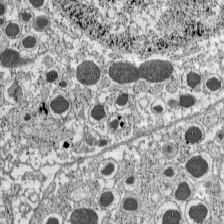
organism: C57BL Mouse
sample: Pancreatic islet